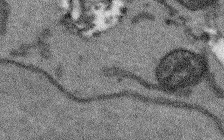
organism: Arabidopsis thaliana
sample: Root tip